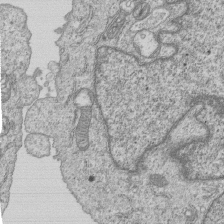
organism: Human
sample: MDA-MB-231 cells